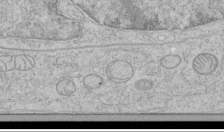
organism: Human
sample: Mitochondria in HCT116 cells